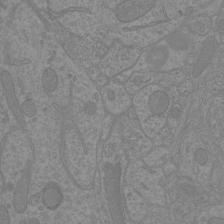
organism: Mouse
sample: Cortical neurons